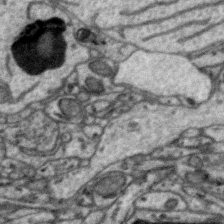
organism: Zebra finch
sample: Brain